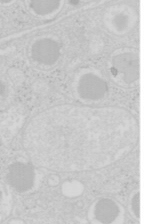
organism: Mouse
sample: Pancreas